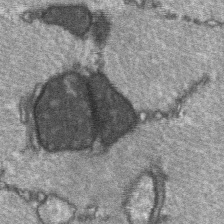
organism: C57BL Mouse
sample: Soleus